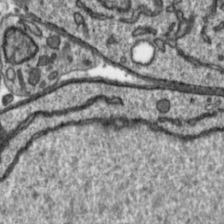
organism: Toxoplasma gondii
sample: Parasites in a vacuole inside a host cell